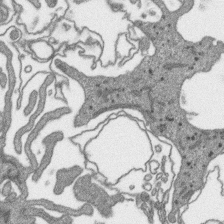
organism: Human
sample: Lung epithelial cells infected with SARS-CoV-2